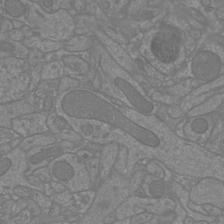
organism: Mouse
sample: Cortical neurons